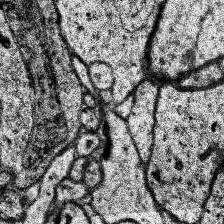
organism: Human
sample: Temporal Lobe